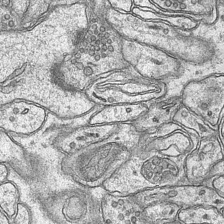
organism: Mouse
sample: CA1 Hippocampus